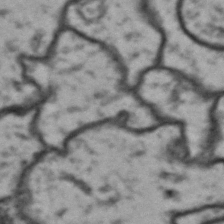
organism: Drosophila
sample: Brain